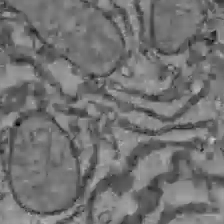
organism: C57BL Mouse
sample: Liver